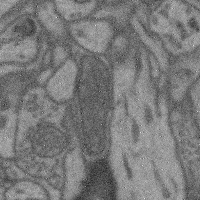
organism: Mouse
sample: Cerebral cortex